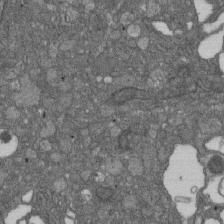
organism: Drosophila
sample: Nephrocyte